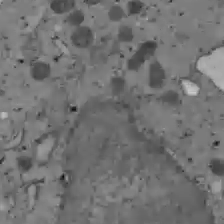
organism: C57BL Mouse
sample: Liver